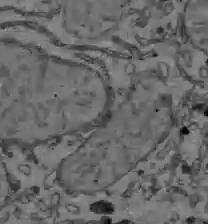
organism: C57BL Mouse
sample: Liver